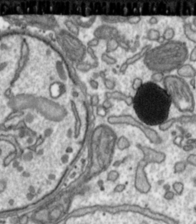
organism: Toxoplasma gondii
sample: Parasites in a vacuole inside a host cell